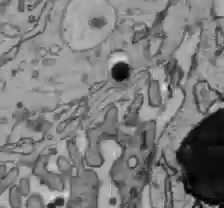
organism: C57BL Mouse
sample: Liver